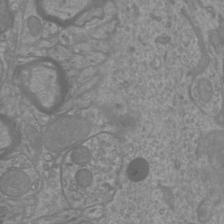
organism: Mouse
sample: Cortical neurons